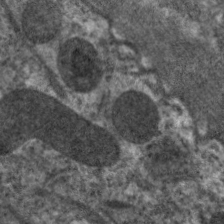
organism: C. elegans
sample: Pharynx